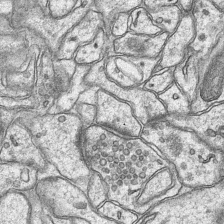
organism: Mouse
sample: CA1 Hippocampus